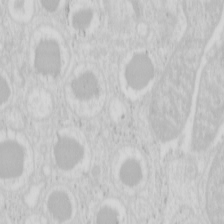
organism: Mouse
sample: Pancreas